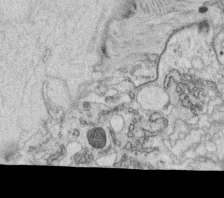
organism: C. elegans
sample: C. elegans oocyte; sperm cells